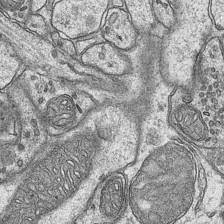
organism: Mouse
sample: CA1 Hippocampus